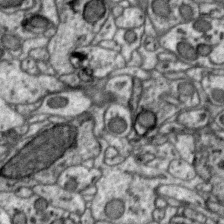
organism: Zebra finch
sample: Brain